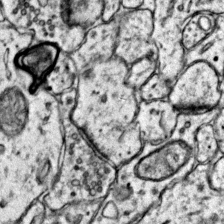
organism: Mouse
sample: Primary visual cortex